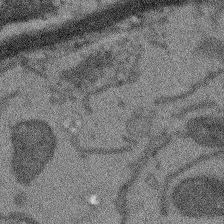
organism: Arabidopsis thaliana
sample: Root tip